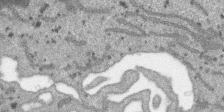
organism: Human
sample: Lung epithelial cells infected with SARS-CoV-2